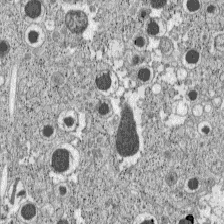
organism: C57BL Mouse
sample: Pancreatic islet